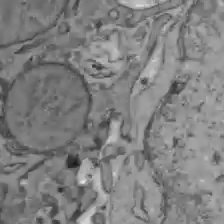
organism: C57BL Mouse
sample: Liver